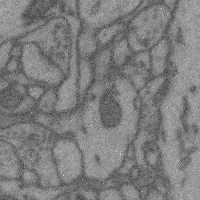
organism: Mouse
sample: Cerebral cortex